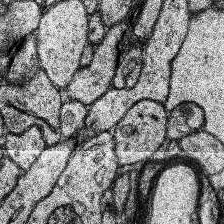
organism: Human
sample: Temporal Lobe